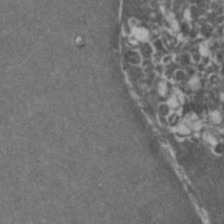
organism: Zebrafish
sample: Zebrafish embryo